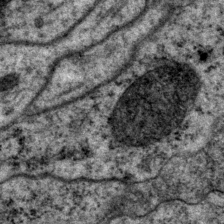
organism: P. pacificus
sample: Pharynx